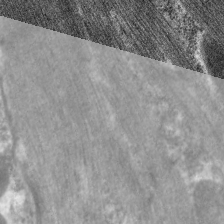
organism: C. elegans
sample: Pharynx